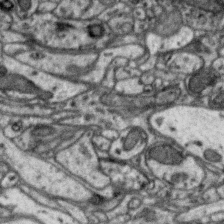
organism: Zebra finch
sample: Brain